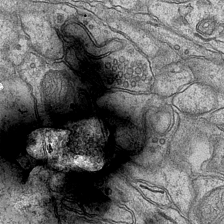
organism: Mouse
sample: CA1 Hippocampus